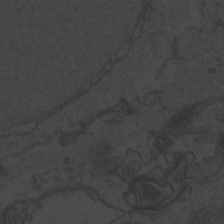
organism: Zebrafish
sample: Macrophage infected with Toxoplasma gondii